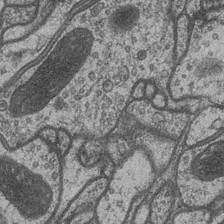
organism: Drosophila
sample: Optic medulla